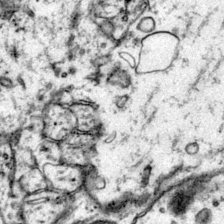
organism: Mouse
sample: Primary visual cortex